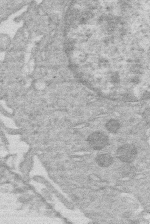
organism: Human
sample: Macrophage cells